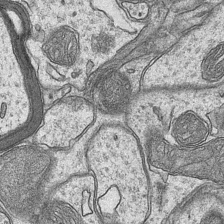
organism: Mouse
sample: CA1 Hippocampus